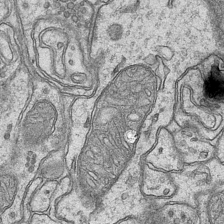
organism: Mouse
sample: CA1 Hippocampus